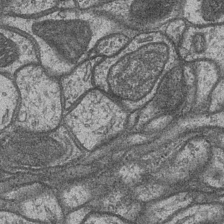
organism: Drosophila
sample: Optic medulla